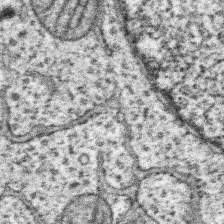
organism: Human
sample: HeLa cells